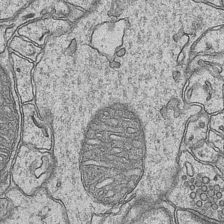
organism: Mouse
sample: CA1 Hippocampus